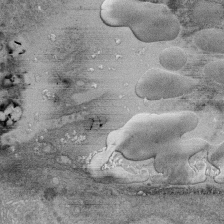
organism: Human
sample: Retinal organoid Rod and Cone cells